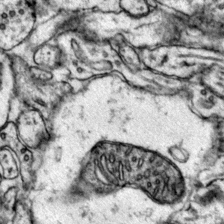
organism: Mouse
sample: Primary visual cortex